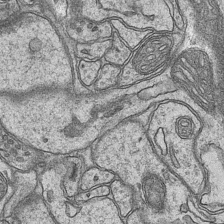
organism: Mouse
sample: CA1 Hippocampus